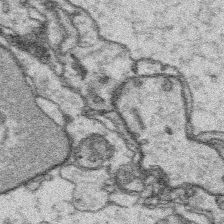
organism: Platynereis dumerilii